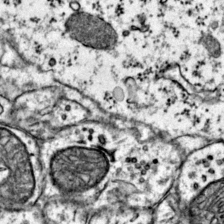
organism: Mouse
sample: Primary visual cortex